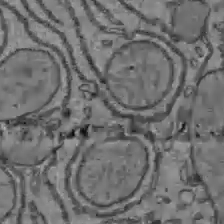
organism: C57BL Mouse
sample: Liver